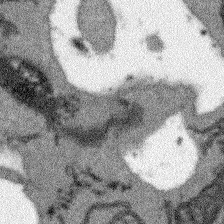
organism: Arabidopsis thaliana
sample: Root tip